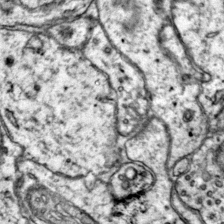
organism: Mouse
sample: Primary visual cortex